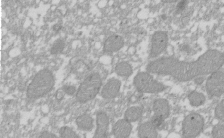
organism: Xenopus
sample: Cilia; centrioles in frog embryo cells